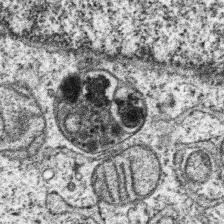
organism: Human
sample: HeLa cells